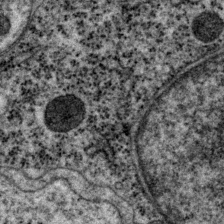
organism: P. pacificus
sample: Pharynx